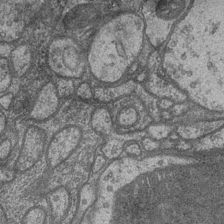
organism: Drosophila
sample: Optic medulla